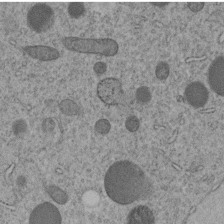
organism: C. elegans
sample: C. elegans embryo early stage